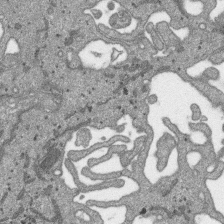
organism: Human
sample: Lung epithelial cells infected with SARS-CoV-2